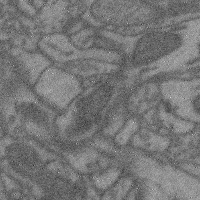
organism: Mouse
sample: Cerebral cortex